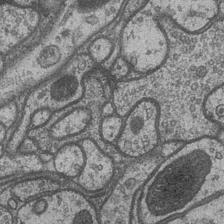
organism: Drosophila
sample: Optic medulla